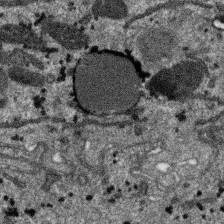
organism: Human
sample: Lung epithelial cells infected with SARS-CoV-2